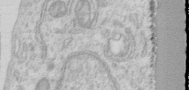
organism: Human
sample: Centriole in RPE cells